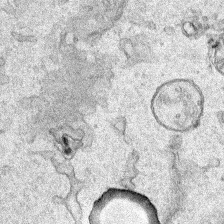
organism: Human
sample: Mitochondria in HCT116 cells